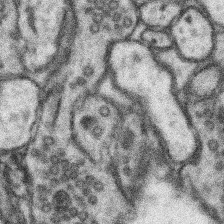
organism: Mouse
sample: Somatosensory cortex neuropil